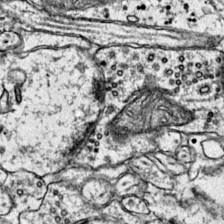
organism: Mouse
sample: Primary visual cortex